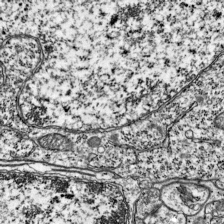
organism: Mouse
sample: Visual Cortex